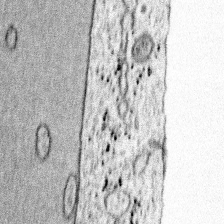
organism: Human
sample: HeLa cells